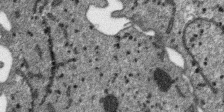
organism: Human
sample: Lung epithelial cells infected with SARS-CoV-2